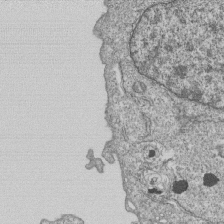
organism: Human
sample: MDA-MB-231 cells